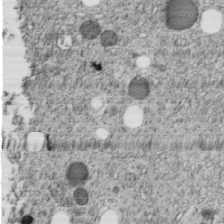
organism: C. elegans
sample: C. elegans embryo early stage